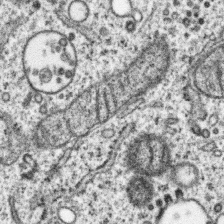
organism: Human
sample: HeLa cells